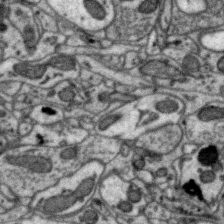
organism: Zebra finch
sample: Brain